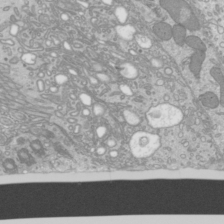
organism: Mouse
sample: Cilia; mouse epididymis